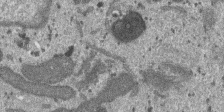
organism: Human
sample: Lung epithelial cells infected with SARS-CoV-2